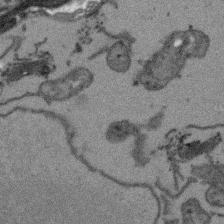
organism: Arabidopsis thaliana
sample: Root tip